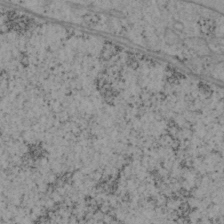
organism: Human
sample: HeLa cells